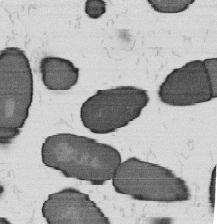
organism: B. subtilis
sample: Bacterial spore